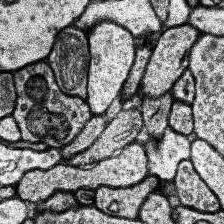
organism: Human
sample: Temporal Lobe